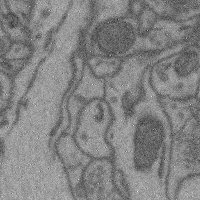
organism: Mouse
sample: Cerebral cortex